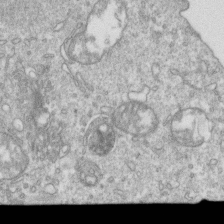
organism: Mouse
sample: Activated OT-1 CD8+ T cells